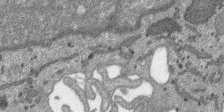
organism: Human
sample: Lung epithelial cells infected with SARS-CoV-2